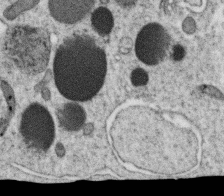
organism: C. elegans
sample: C. elegans oocyte; sperm cells